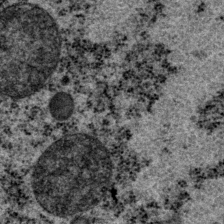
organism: P. pacificus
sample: Pharynx